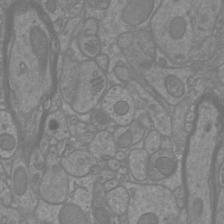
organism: Mouse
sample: Cortical neurons